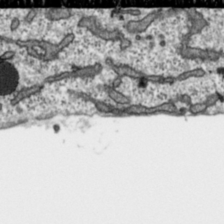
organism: Toxoplasma gondii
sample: Parasites in a vacuole inside a host cell